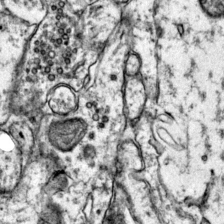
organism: Mouse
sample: Primary visual cortex